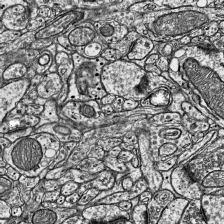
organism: Mouse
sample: Visual Cortex